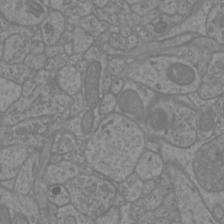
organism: Mouse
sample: Cortical neurons